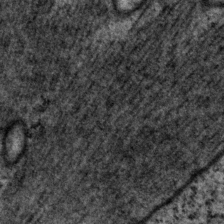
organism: P. pacificus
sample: Pharynx